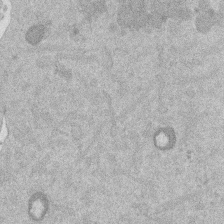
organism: Mouse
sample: Dividing mouse embryo 1 cell stage